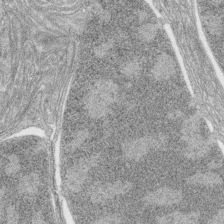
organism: Zebrafish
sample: synaptic ribbons in rod cells and cone cells